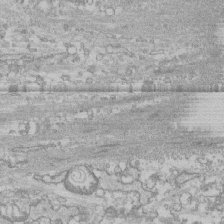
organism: Human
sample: CRL-1474